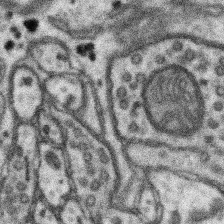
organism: Mouse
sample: Somatosensory cortex neuropil